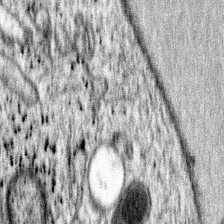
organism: Human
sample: HeLa cells